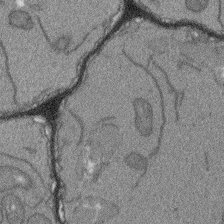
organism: Arabidopsis thaliana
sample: Root tip